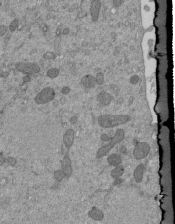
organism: Mouse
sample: ED-1 cell nuclei; centrioles